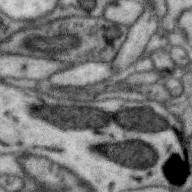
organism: Zebra finch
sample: Brain